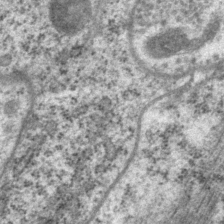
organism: P. pacificus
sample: Pharynx